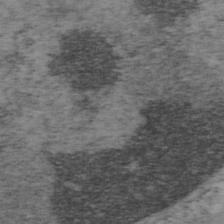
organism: Mouse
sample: OT-I killer T cells with ID8 ovarian cancer cells